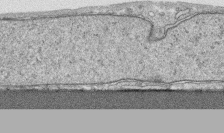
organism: Human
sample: CRL-1474